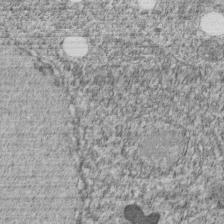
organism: C. elegans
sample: C. elegans embryo early stage